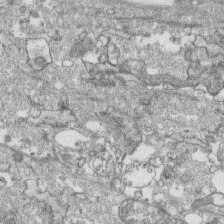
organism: Human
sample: CRL-1474